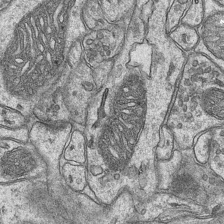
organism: Mouse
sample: CA1 Hippocampus